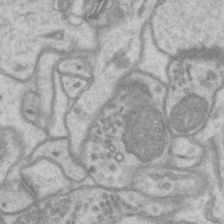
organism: Mouse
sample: CA1 Hippocampus